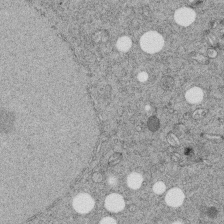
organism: C. elegans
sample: C. elegans embryo early stage